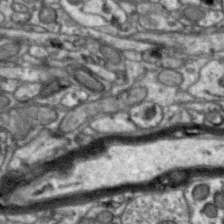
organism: Zebra finch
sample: Brain